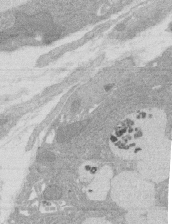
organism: Rat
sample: Salivary granule